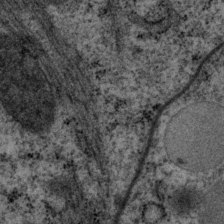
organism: P. pacificus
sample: Pharynx